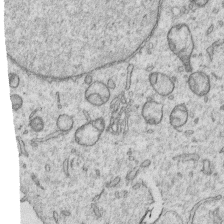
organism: Human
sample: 1205lu cells